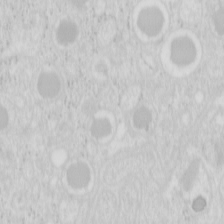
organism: Mouse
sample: Pancreas